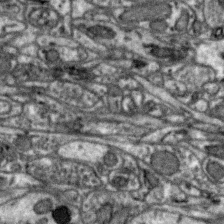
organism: Zebra finch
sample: Brain